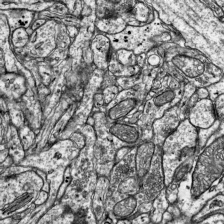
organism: Mouse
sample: Visual Cortex